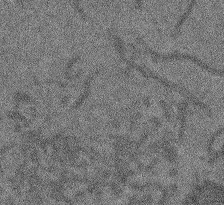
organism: Arabidopsis thaliana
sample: Root tip